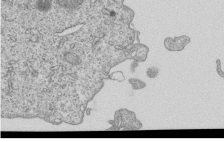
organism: Human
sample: MDA-MB-231 cells